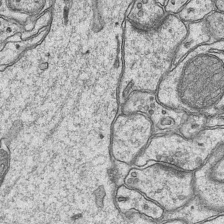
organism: Mouse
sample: CA1 Hippocampus